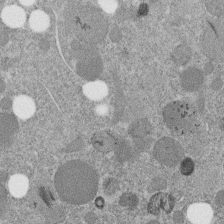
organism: C. elegans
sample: C. elegans embryo early stage